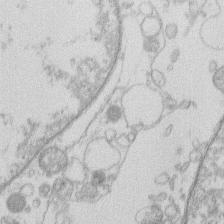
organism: Human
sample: Macrophage cells